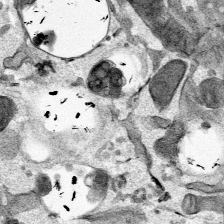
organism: Mouse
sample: Cancer cell death in ED-1 cells